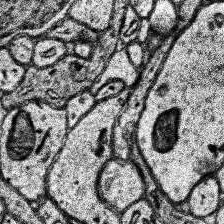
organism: Human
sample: Temporal Lobe